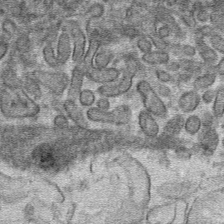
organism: Mouse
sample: Mouse hepatocytes